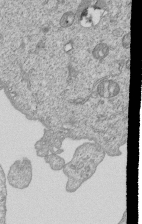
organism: Human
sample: MDA-MB-231 cells